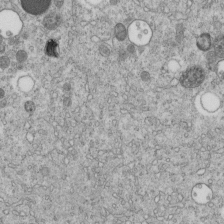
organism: C. elegans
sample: C. elegans embryo early stage